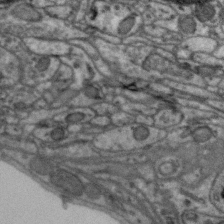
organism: Zebra finch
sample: Brain